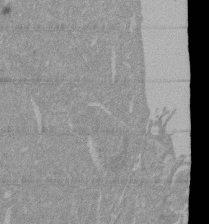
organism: Mouse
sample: ED-1 cell nuclei; centrioles